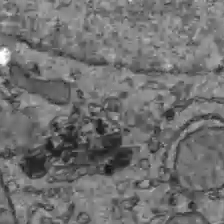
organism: C57BL Mouse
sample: Liver